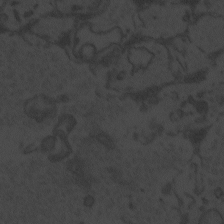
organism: Zebrafish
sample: Macrophage infected with Toxoplasma gondii